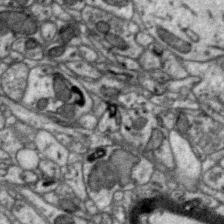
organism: Zebra finch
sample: Brain